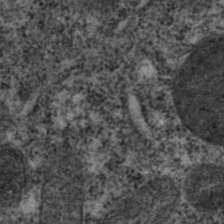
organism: C. elegans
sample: C. elegans embryo